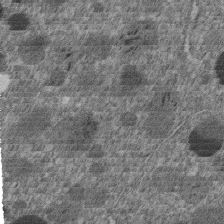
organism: C. elegans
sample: C. elegans embryo early stage